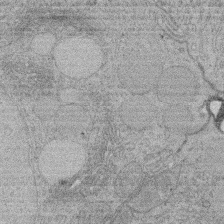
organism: Rat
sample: Salivary granule